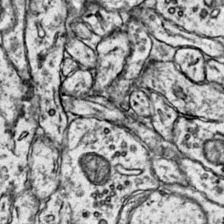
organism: Mouse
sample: Primary visual cortex